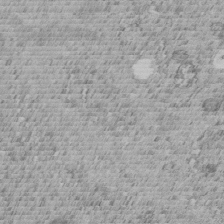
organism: C. elegans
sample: C. elegans embryo early stage